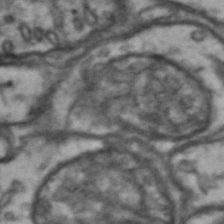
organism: Drosophila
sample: Brain